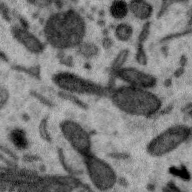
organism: Zebra finch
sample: Brain